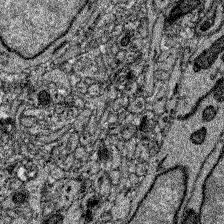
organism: Zebrafish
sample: Larval olfactory bulb